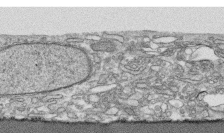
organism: Human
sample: CRL-1474